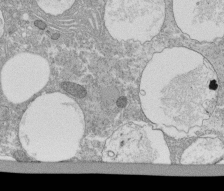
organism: Tetrahymena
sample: Cilia in tetrahymena